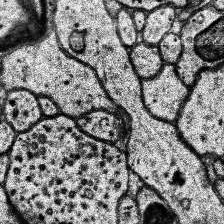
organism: Human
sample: Temporal Lobe